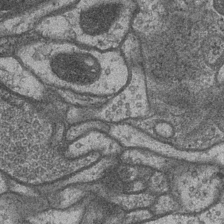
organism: Drosophila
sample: Optic medulla